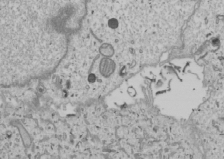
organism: Human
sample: Mitochondria in U2OS cells